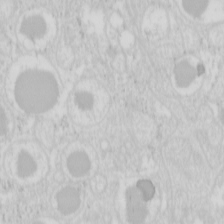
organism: Mouse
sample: Pancreas